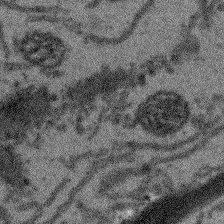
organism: Arabidopsis thaliana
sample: Root tip